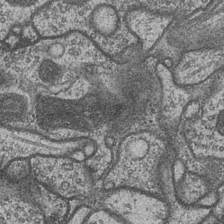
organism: Drosophila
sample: Optic medulla